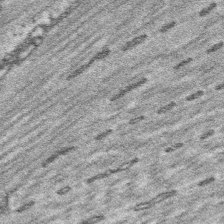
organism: Platynereis dumerilii